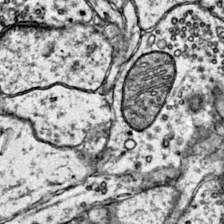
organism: Mouse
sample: Primary visual cortex